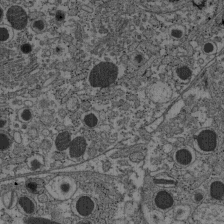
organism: C57BL Mouse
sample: Pancreatic islet